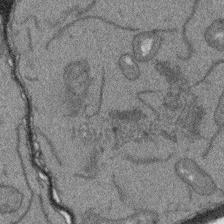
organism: Arabidopsis thaliana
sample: Root tip